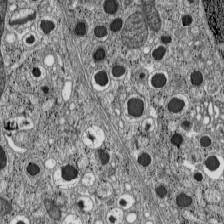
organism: C57BL Mouse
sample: Pancreatic islet